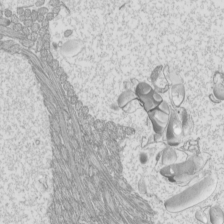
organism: Mouse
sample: Cilia; mouse epididymis